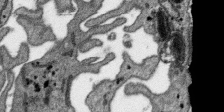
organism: Human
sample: Lung epithelial cells, uninfected (mock) control